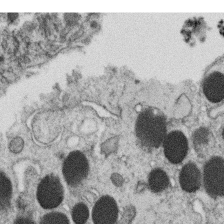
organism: C. elegans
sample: C. elegans oocyte; sperm cells